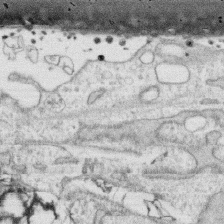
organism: Human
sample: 1205lu cells